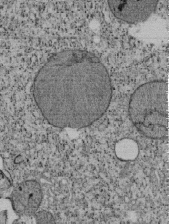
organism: Tetrahymena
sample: Cilia in tetrahymena